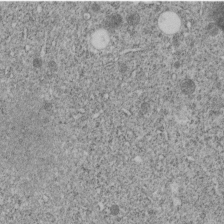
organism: C. elegans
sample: C. elegans embryo early stage